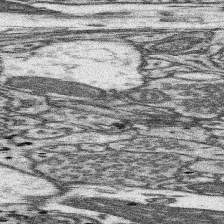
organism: Mouse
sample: Somatosensory cortex neuropil